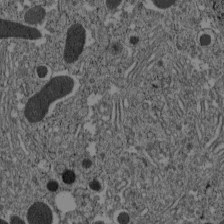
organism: C57BL Mouse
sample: Pancreatic islet